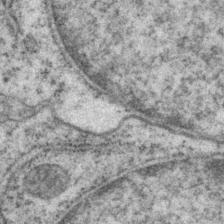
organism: P. pacificus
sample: Pharynx